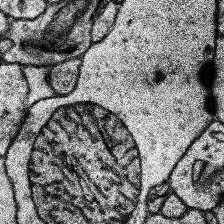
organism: Human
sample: Temporal Lobe